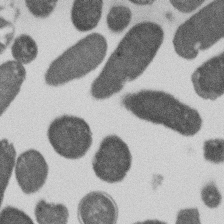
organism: E. coli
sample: Bacterial nucleoid